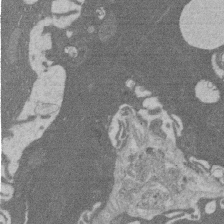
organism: Rat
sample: Salivary granule